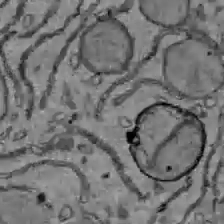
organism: C57BL Mouse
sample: Liver